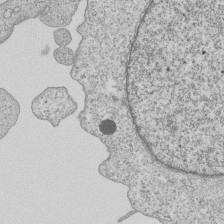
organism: Human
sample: MDA-MB-231 cells